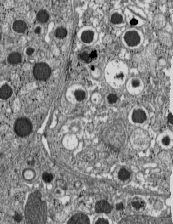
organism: C57BL Mouse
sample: Pancreatic islet